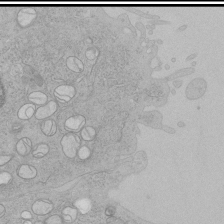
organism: Human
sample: Mitochondria in HCT116 cells